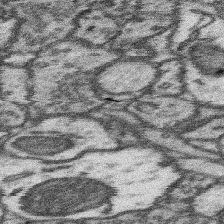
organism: Mouse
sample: Somatosensory cortex neuropil